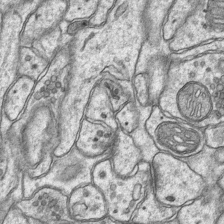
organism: Mouse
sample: CA1 Hippocampus